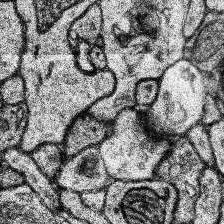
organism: Human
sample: Temporal Lobe